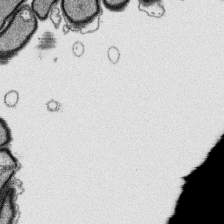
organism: Platynereis dumerilii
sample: Parapodia